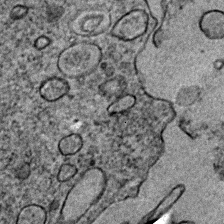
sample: Trachea